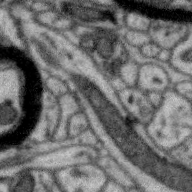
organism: Zebra finch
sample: Brain